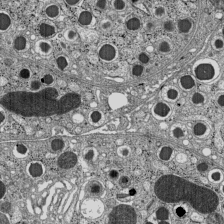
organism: C57BL Mouse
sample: Pancreatic islet